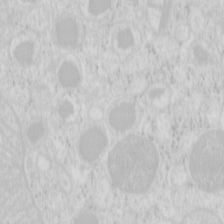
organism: Mouse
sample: Pancreas